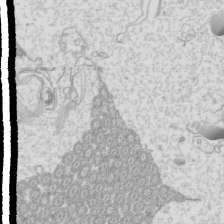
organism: Mouse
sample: Cilia; mouse epididymis